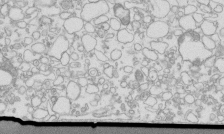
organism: Mouse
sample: Macrophages